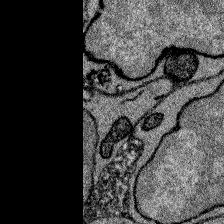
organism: Zebrafish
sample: Larval olfactory bulb